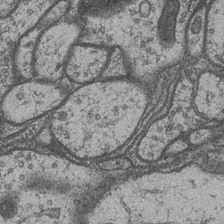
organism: Drosophila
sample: Optic medulla